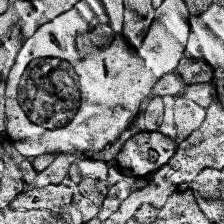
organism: Human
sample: Temporal Lobe